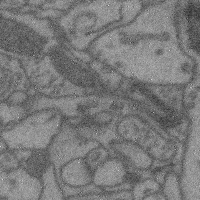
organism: Mouse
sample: Cerebral cortex